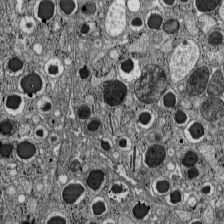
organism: C57BL Mouse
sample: Pancreatic islet